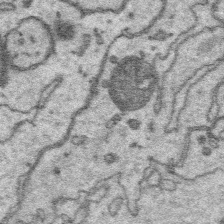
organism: Platynereis dumerilii